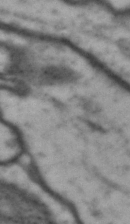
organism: Drosophila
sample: Brain